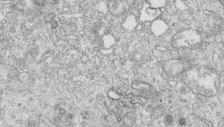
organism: Human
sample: HeLa cell HIV synapse